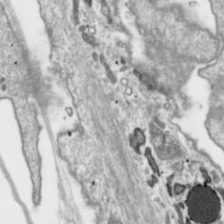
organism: Toxoplasma gondii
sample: Parasites in a vacuole inside a host cell